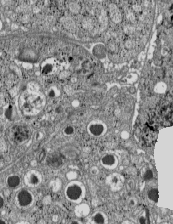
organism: C57BL Mouse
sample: Pancreatic islet